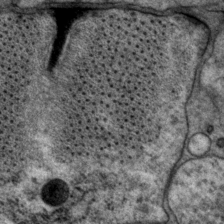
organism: P. pacificus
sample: Pharynx